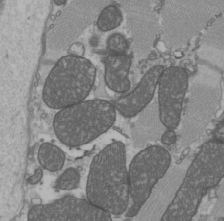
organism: C57BL Mouse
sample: Heart